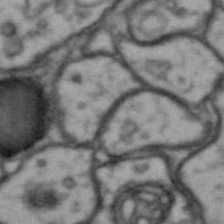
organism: Drosophila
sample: Brain